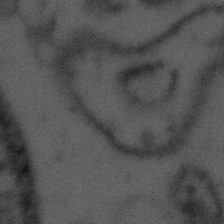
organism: Tuwongella immobilis